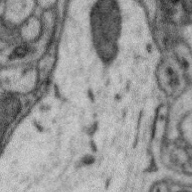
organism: Zebra finch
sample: Brain